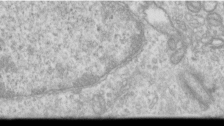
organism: Human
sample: Centriole in RPE cells